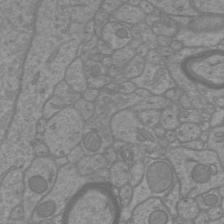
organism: Mouse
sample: Cortical neurons